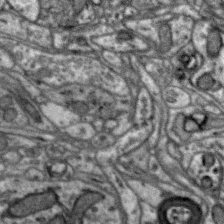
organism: Zebra finch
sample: Brain